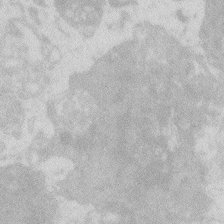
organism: Zebrafish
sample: Macrophage